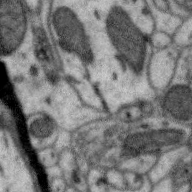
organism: Zebra finch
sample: Brain